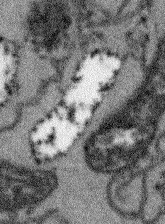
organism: Arabidopsis thaliana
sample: Root tip